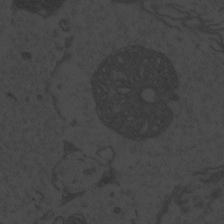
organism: Zebrafish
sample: Macrophage infected with Toxoplasma gondii